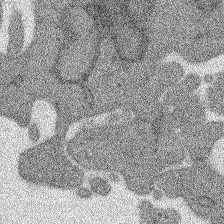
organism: Human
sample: HeLa cells